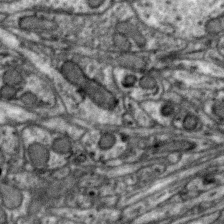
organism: Zebra finch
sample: Brain